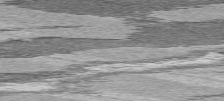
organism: C57BL Mouse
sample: Heart